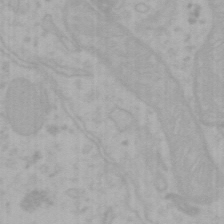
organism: Mouse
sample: Choroid plexus